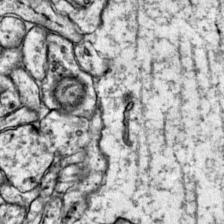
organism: Mouse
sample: Primary visual cortex